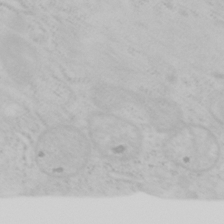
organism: Mouse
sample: OT-I killer T cells with ID8 ovarian cancer cells